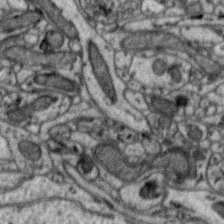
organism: Zebra finch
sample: Brain